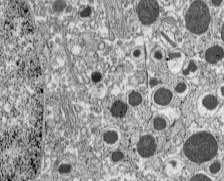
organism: C57BL Mouse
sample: Pancreatic islet